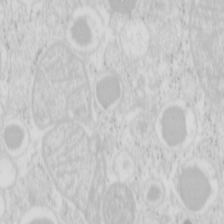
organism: Mouse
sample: Pancreas